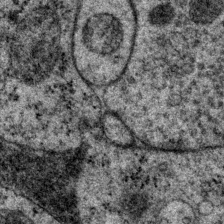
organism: P. pacificus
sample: Pharynx